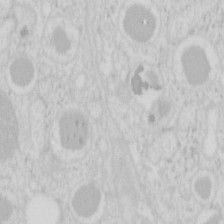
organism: Mouse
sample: Pancreas